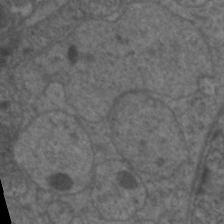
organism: C. elegans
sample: Pharynx